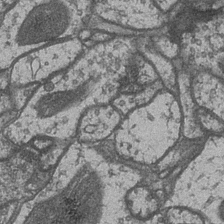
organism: Drosophila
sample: Optic medulla